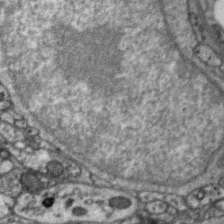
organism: Zebra finch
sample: Brain